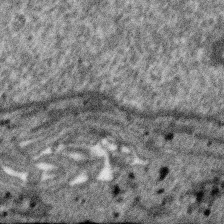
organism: Human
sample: Lung epithelial cells infected with SARS-CoV-2